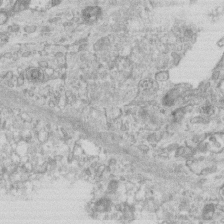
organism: Mouse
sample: Centriole in ependymal cells